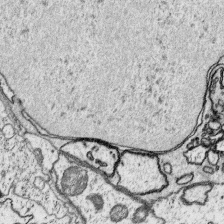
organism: Platynereis dumerilii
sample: Parapodia